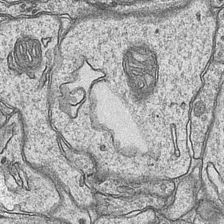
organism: Mouse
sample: CA1 Hippocampus